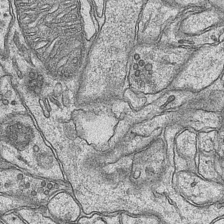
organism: Mouse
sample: CA1 Hippocampus